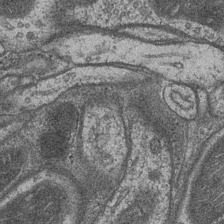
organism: Drosophila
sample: Optic medulla